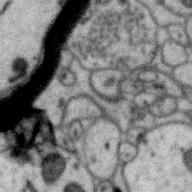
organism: Zebra finch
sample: Brain